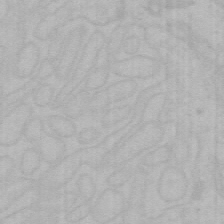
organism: Mouse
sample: Choroid plexus